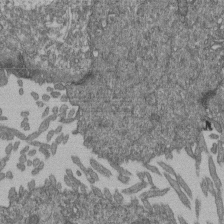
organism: Human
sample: Retinal organoid Rod and Cone cells